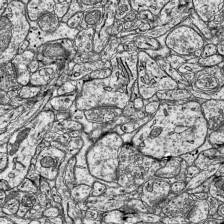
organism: Mouse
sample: Visual Cortex